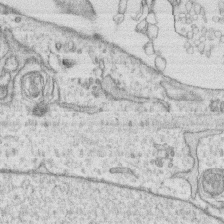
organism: Human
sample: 1205lu cells